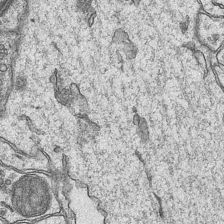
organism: Mouse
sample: CA1 Hippocampus